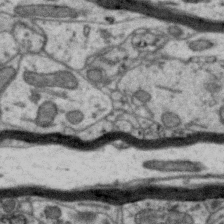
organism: Zebra finch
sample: Brain